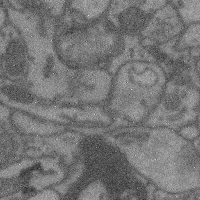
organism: Mouse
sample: Cerebral cortex